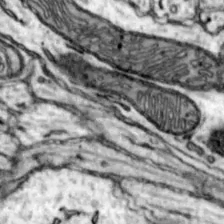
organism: Mouse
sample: Nucleus accumbens